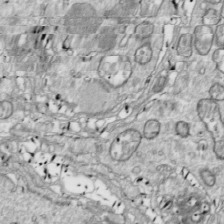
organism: Drosophila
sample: Cell division; meiosis; drosophila spermatocytes